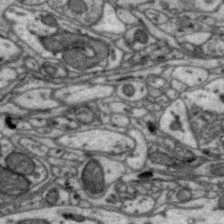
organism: Zebra finch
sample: Brain